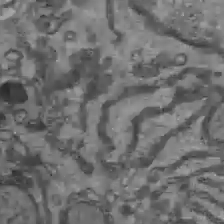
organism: C57BL Mouse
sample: Liver